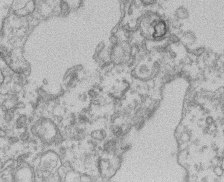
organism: Mouse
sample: T cell stromal cell synapse